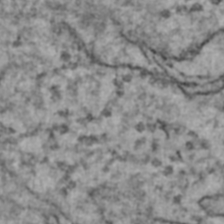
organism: Human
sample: Blood